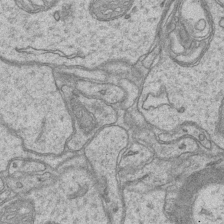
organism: Mouse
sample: CA1 Hippocampus